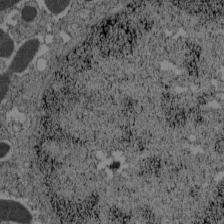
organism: C57BL Mouse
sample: Pancreatic islet